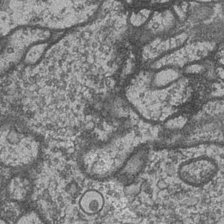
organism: Drosophila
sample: Optic medulla